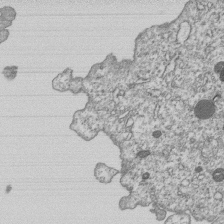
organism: Human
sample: MDA-MB-231 cells